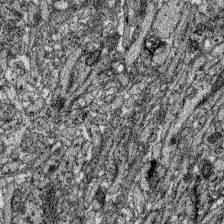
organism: Zebrafish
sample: Larval olfactory bulb